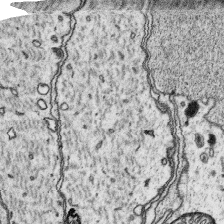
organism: Platynereis dumerilii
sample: Parapodia